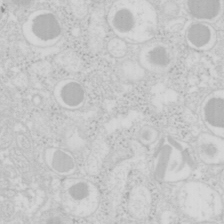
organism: Mouse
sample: Pancreas